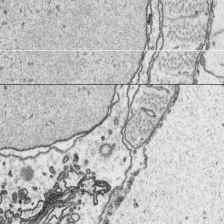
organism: Platynereis dumerilii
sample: Parapodia